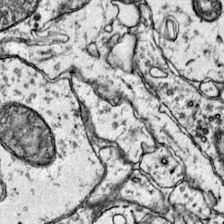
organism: Mouse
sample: Primary visual cortex